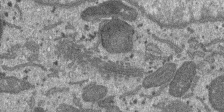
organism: Human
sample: Lung epithelial cells infected with SARS-CoV-2